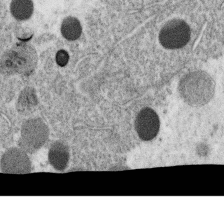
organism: C. elegans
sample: C. elegans oocyte; sperm cells